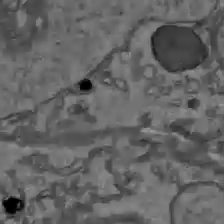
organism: C57BL Mouse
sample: Liver